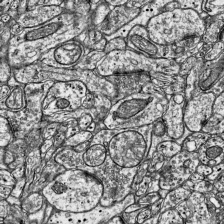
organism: Mouse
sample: Visual Cortex